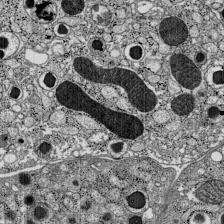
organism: C57BL Mouse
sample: Pancreatic islet